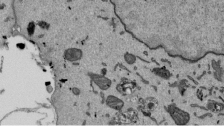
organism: Mouse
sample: ED-1 cell nuclei; centrioles